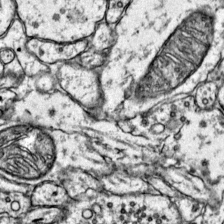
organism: Mouse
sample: Primary visual cortex